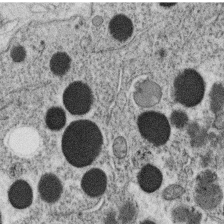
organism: C. elegans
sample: C. elegans oocyte; sperm cells